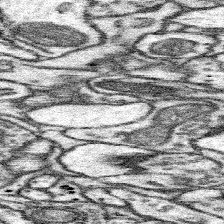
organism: Mouse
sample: Somatosensory cortex neuropil